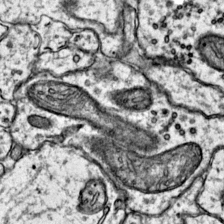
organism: Mouse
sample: Primary visual cortex